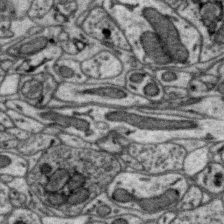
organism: Zebra finch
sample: Brain